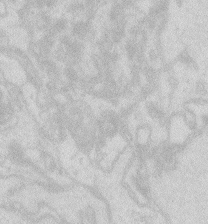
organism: Zebrafish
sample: Macrophage